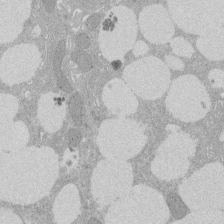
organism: Rat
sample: Salivary granule